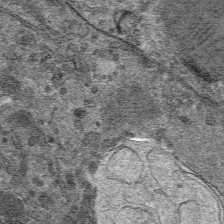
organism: Mouse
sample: Mouse hepatocytes